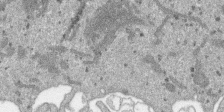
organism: Human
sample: Lung epithelial cells infected with SARS-CoV-2